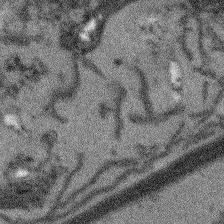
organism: Arabidopsis thaliana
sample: Root tip